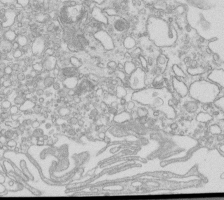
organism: Mouse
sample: Macrophages